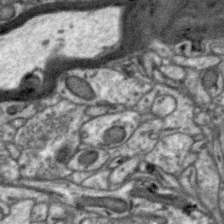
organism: Zebra finch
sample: Brain